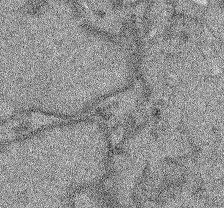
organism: Human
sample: HeLa cells